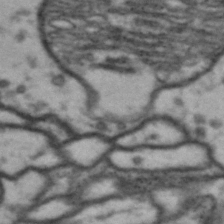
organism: Drosophila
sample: Brain